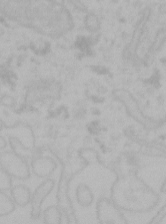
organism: Mouse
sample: Choroid plexus